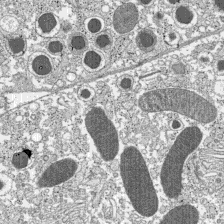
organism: C57BL Mouse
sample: Pancreatic islet